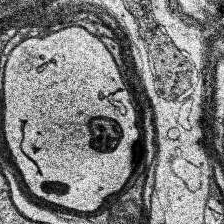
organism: Human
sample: Temporal Lobe